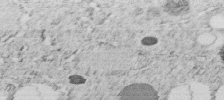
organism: C. elegans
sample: C. elegans embryo early stage